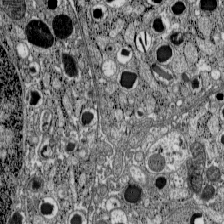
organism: C57BL Mouse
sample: Pancreatic islet